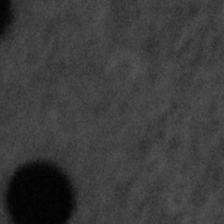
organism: Tuwongella immobilis